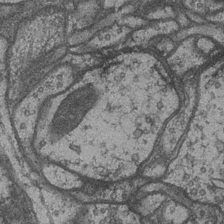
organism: Drosophila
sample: Optic medulla